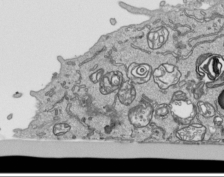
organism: Human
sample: Mitochondria in HCT116 cells